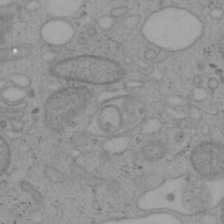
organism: Mouse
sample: OT-I killer T cells with ID8 ovarian cancer cells